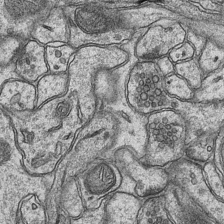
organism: Mouse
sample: CA1 Hippocampus